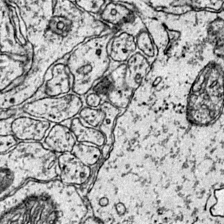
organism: Mouse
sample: Primary visual cortex